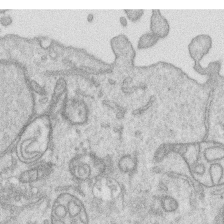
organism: Human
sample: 1205lu cells